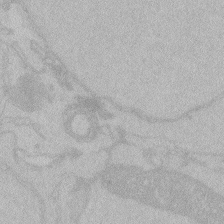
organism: Zebrafish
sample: Macrophage infected with Toxoplasma gondii